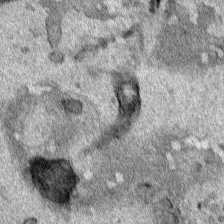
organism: Human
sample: Mitochondria in HCT116 cells